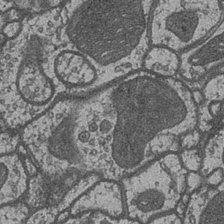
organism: Drosophila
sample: Optic medulla